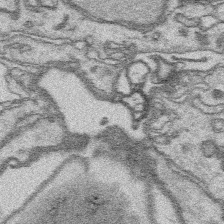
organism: Platynereis dumerilii